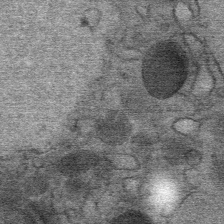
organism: Mouse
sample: Mouse Salivary gland